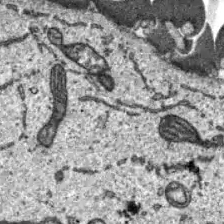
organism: Human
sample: HeLa cells